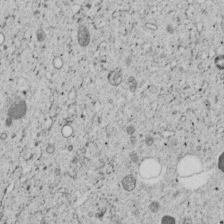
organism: C. elegans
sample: C. elegans embryo early stage